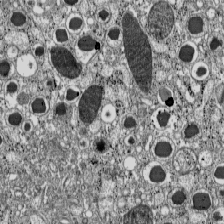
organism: C57BL Mouse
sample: Pancreatic islet